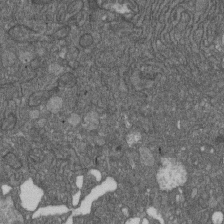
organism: Drosophila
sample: Nephrocyte